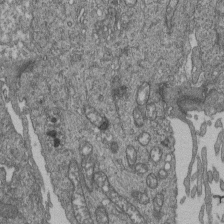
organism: Human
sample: Retinal organoid Rod and Cone cells